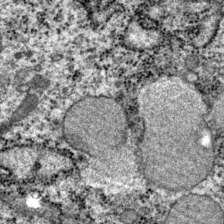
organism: P. pacificus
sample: Pharynx